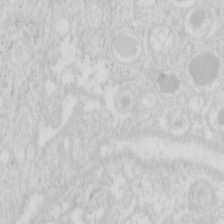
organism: Mouse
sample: Pancreas